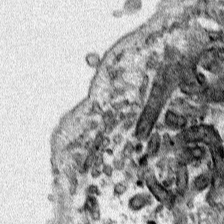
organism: Human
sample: Mitochondria in HCT116 cells